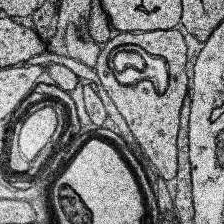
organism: Human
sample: Temporal Lobe